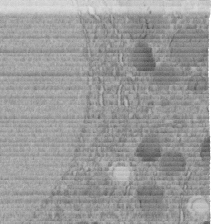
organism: C. elegans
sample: C. elegans embryo early stage